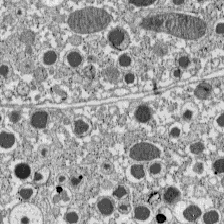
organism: C57BL Mouse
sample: Pancreatic islet